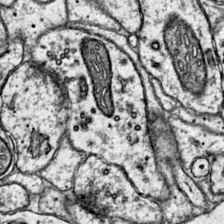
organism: Mouse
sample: Primary visual cortex